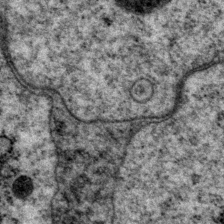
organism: P. pacificus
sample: Pharynx